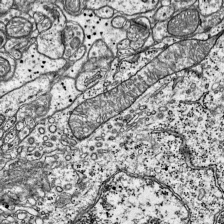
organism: Mouse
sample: Visual Cortex